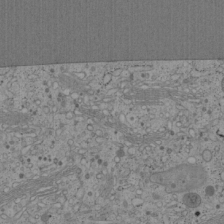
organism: African green monkey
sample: COS-7 cells